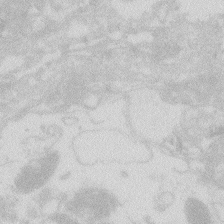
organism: Zebrafish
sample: Macrophage